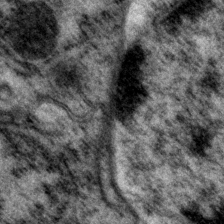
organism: P. pacificus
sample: Pharynx